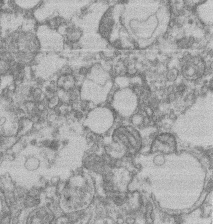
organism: Mouse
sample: T cell stromal cell synapse